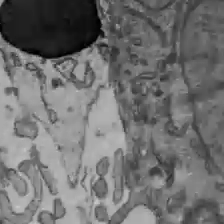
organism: C57BL Mouse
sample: Liver